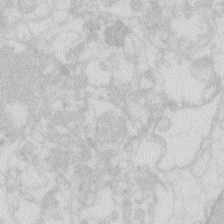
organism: Zebrafish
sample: Macrophage